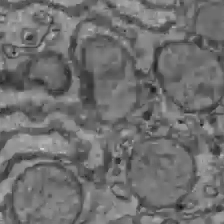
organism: C57BL Mouse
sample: Liver